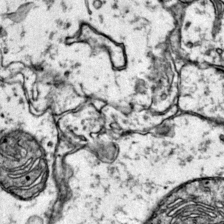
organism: Mouse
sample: Primary visual cortex